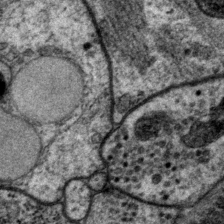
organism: P. pacificus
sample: Pharynx